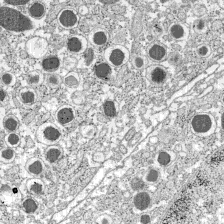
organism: C57BL Mouse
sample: Pancreatic islet